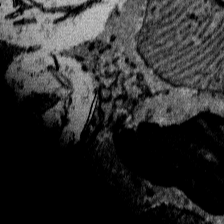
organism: Mouse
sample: Mouse Salivary gland